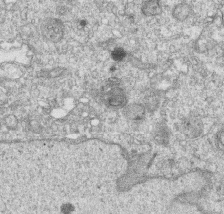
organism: Human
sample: HeLa cell HIV synapse